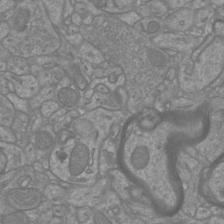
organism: Mouse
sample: Cortical neurons